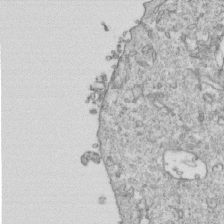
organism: Mouse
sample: Activated OT-1 CD8+ T cells